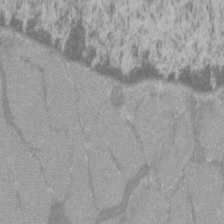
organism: C57BL Mouse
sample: Tibialis anterior muscle cell